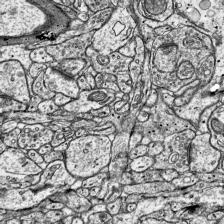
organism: Mouse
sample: Visual Cortex